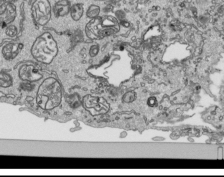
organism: Human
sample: Mitochondria in HCT116 cells